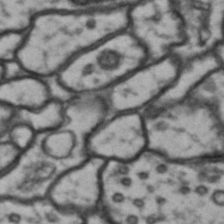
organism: Drosophila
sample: Brain